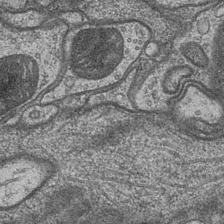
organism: Drosophila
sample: Optic medulla